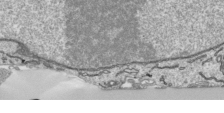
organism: Human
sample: Mitochondria in HCT116 cells